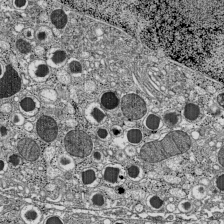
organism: C57BL Mouse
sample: Pancreatic islet